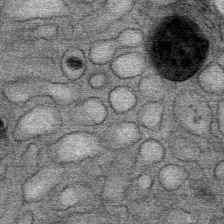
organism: Mouse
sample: Mouse Salivary gland